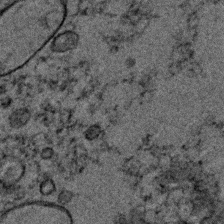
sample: Trachea